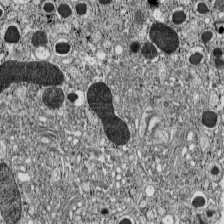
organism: C57BL Mouse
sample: Pancreatic islet